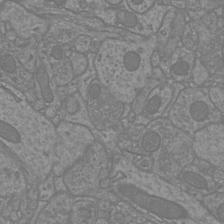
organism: Mouse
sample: Cortical neurons